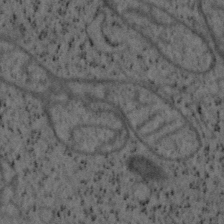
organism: Human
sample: HeLa cells